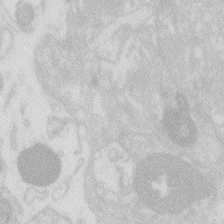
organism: Zebrafish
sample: Macrophage